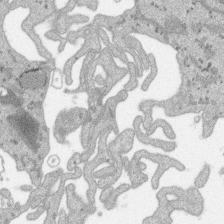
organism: Human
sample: Lung epithelial cells infected with SARS-CoV-2